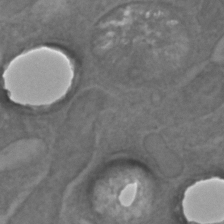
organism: C. elegans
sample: C. elegans embryo